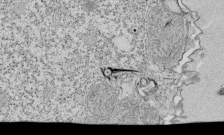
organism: Tetrahymena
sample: Cilia in tetrahymena